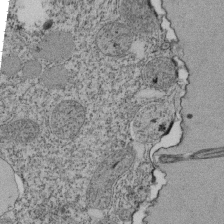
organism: Tetrahymena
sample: Cilia in tetrahymena